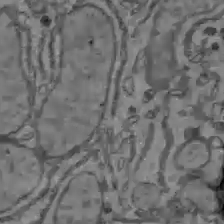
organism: C57BL Mouse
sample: Liver